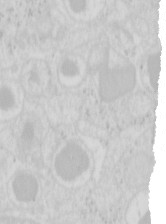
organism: Mouse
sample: Pancreas